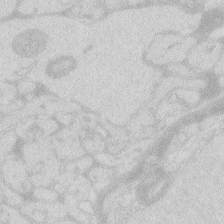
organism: Zebrafish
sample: Macrophage